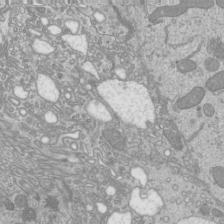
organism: Mouse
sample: Cilia; mouse epididymis